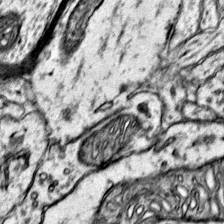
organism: Mouse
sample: Primary visual cortex